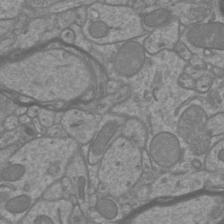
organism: Mouse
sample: Cortical neurons